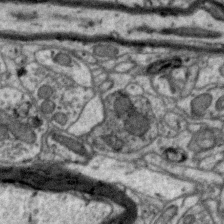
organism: Zebra finch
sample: Brain